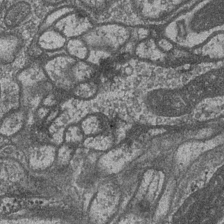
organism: Drosophila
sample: Optic medulla